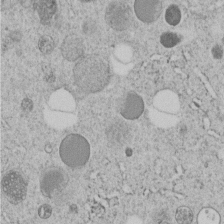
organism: C. elegans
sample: C. elegans embryo early stage